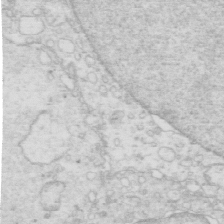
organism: Mouse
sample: Multiciliated cells